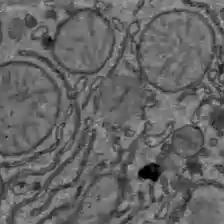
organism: C57BL Mouse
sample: Liver